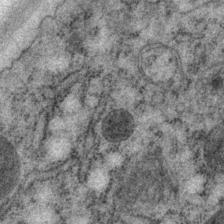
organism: P. pacificus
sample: Pharynx